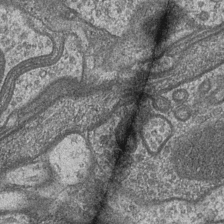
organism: Drosophila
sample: Optic medulla